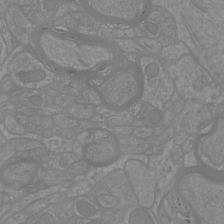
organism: Mouse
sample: Cortical neurons